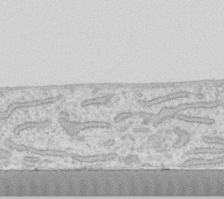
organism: Human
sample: Fibroblast cells